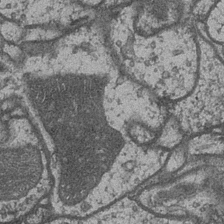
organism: Drosophila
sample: Optic medulla